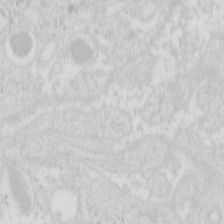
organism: Mouse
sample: Pancreas